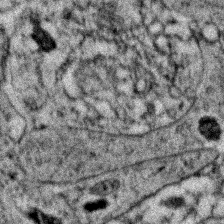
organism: Zebrafish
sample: Zebrafish embryo